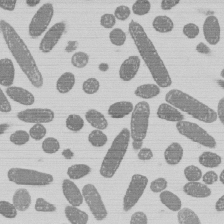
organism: E. coli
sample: Bacterial nucleoid